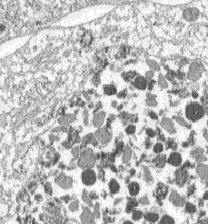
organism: C57BL Mouse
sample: Pancreatic islet